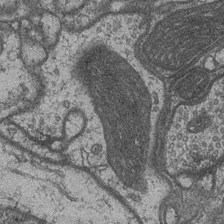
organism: Drosophila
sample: Optic medulla